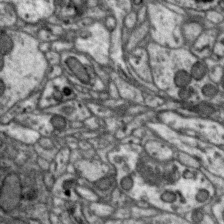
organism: Zebra finch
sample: Brain